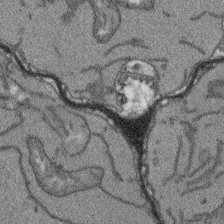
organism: Arabidopsis thaliana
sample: Root tip